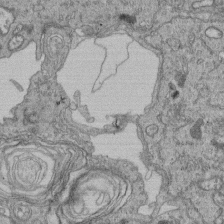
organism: Human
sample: Retinal organoid Rod and Cone cells